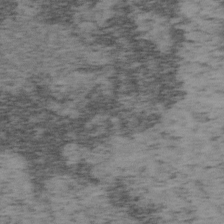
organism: Mouse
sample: OT-I killer T cells with ID8 ovarian cancer cells